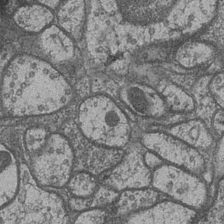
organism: Drosophila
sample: Optic medulla